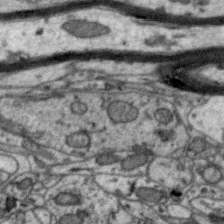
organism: Zebra finch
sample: Brain